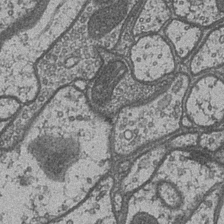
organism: Drosophila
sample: Optic medulla